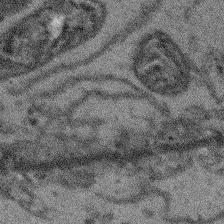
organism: Arabidopsis thaliana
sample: Root tip